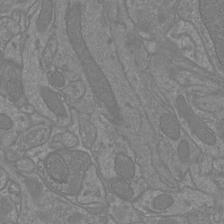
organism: Mouse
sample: Cortical neurons